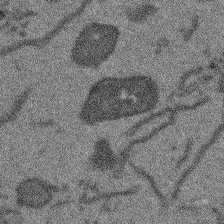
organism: Arabidopsis thaliana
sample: Root tip